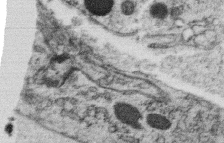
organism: C. elegans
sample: C. elegans oocyte; sperm cells